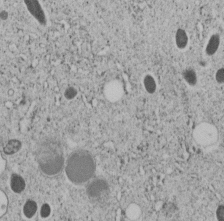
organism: C. elegans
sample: C. elegans embryo early stage